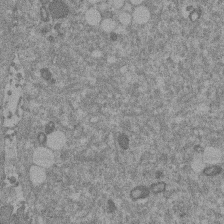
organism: Mouse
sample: Dividing mouse embryo 1 cell stage